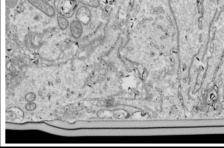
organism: Drosophila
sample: Cell division; meiosis; drosophila spermatocytes